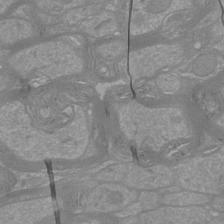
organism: Mouse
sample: Cortical neurons